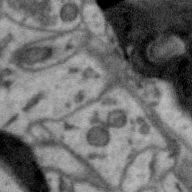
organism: Zebra finch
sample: Brain